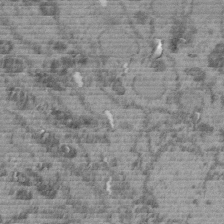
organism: C. elegans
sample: C. elegans embryo early stage